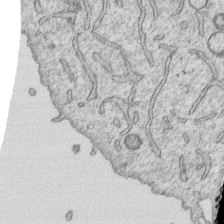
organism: Human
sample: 1205lu cells